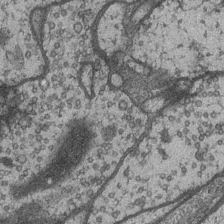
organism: Drosophila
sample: Optic medulla